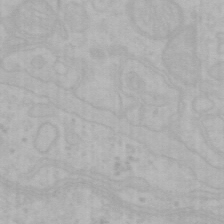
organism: Mouse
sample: Choroid plexus